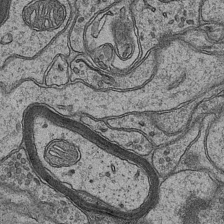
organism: Mouse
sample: CA1 Hippocampus